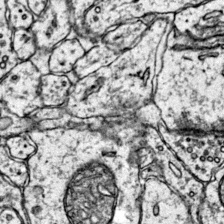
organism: Mouse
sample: Primary visual cortex